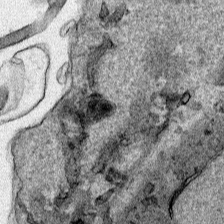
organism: Human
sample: Mitochondria in HCT116 cells